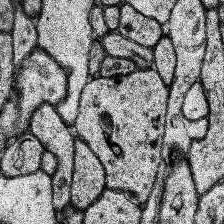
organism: Human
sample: Temporal Lobe